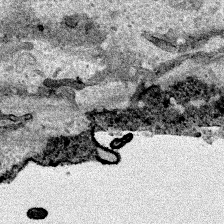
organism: Human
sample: Mitochondria in HCT116 cells